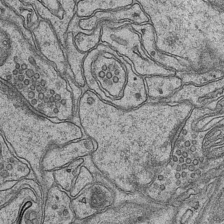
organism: Mouse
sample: CA1 Hippocampus